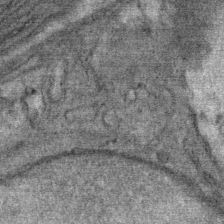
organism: Mouse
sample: Mouse Salivary gland